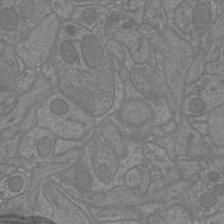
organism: Mouse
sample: Cortical neurons